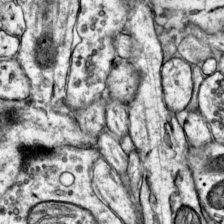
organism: Mouse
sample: Primary visual cortex